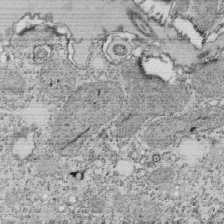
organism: Tetrahymena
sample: Cilia in tetrahymena